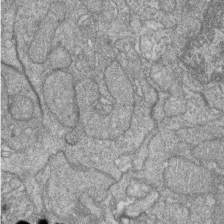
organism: Zebrafish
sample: Cilia; retinal pigment epithelium